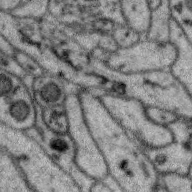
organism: Zebra finch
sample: Brain